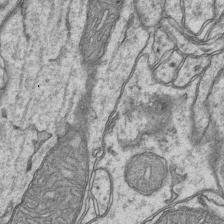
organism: Mouse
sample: CA1 Hippocampus